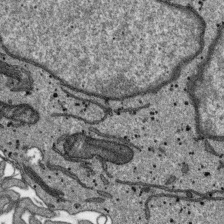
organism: Human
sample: Lung epithelial cells, uninfected (mock) control